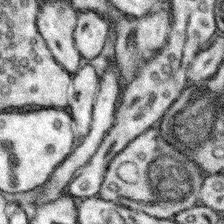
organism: Mouse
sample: Somatosensory cortex neuropil